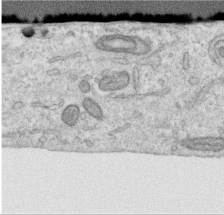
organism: Human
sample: Centriole in RPE cells